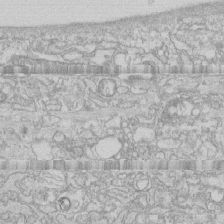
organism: Human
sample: CRL-1474